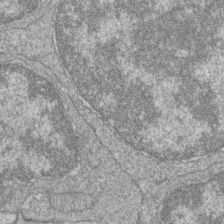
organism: Zebrafish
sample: Cilia; retinal pigment epithelium